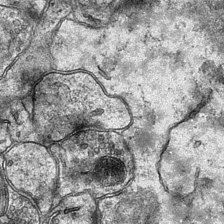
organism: Mouse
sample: CA1 Hippocampus